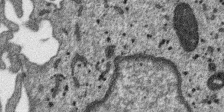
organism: Human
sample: Lung epithelial cells infected with SARS-CoV-2